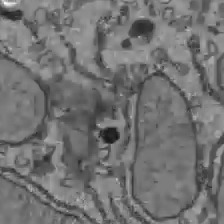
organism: C57BL Mouse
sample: Liver